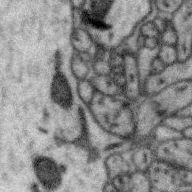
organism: Zebra finch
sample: Brain